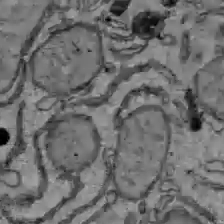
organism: C57BL Mouse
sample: Liver